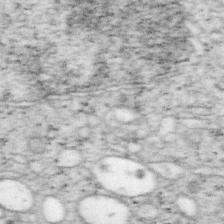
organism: Mouse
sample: OT-I killer T cells with ID8 ovarian cancer cells